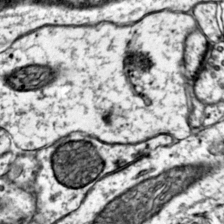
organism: Mouse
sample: Primary visual cortex